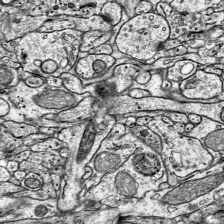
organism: Mouse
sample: Visual Cortex